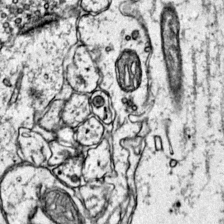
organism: Mouse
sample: Primary visual cortex